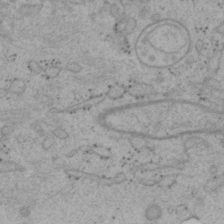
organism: Human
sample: HeLa cells